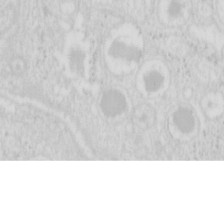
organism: Mouse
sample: Pancreas